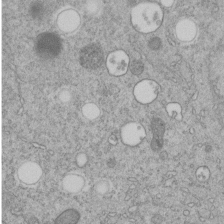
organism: C. elegans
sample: C. elegans embryo early stage